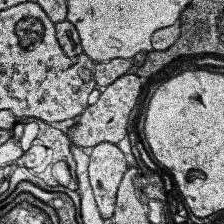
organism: Human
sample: Temporal Lobe